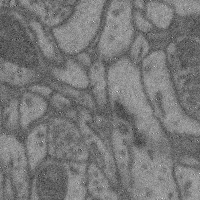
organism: Mouse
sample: Cerebral cortex